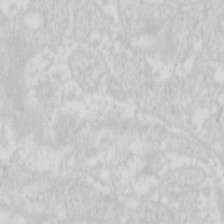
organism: Mouse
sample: Pancreas